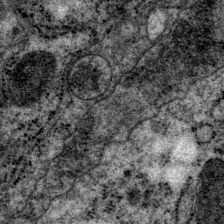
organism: P. pacificus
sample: Pharynx